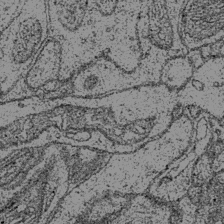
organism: Drosophila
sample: Optic medulla